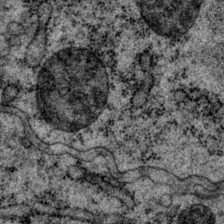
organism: P. pacificus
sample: Pharynx